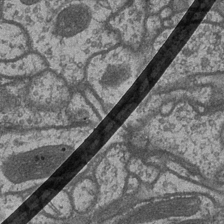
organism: Drosophila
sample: Optic medulla